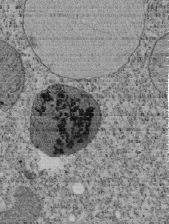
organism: Tetrahymena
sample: Cilia in tetrahymena